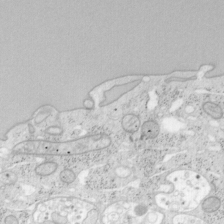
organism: Mouse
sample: OT-I killer T cells with ID8 ovarian cancer cells